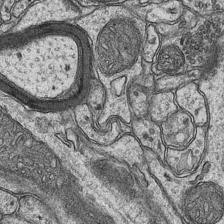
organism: Mouse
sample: CA1 Hippocampus